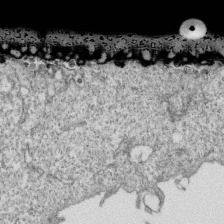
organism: Human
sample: HeLa cell HIV synapse